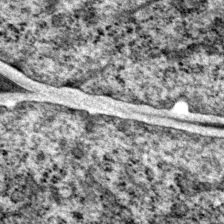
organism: P. pacificus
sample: Pharynx